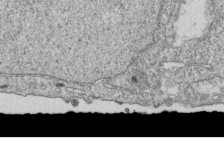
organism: Human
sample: HeLa cell HIV synapse